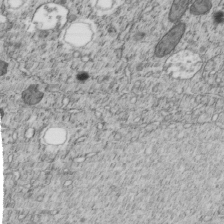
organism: C. elegans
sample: C. elegans embryo early stage